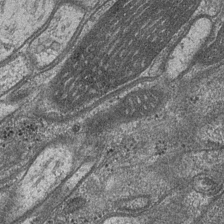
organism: Drosophila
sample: Optic medulla